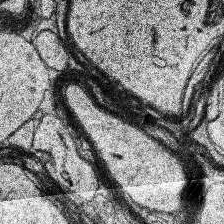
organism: Human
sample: Temporal Lobe